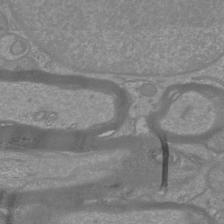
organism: Mouse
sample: Cortical neurons